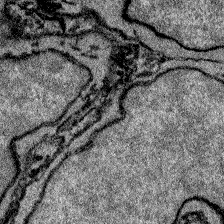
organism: Zebrafish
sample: Larval olfactory bulb